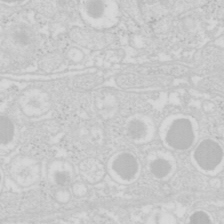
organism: Mouse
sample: Pancreas